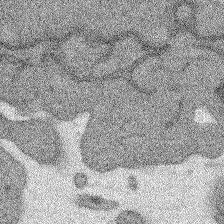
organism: Human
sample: HeLa cells